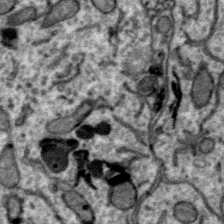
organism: Zebra finch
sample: Brain